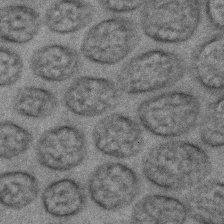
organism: C. elegans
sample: C. elegans embryo